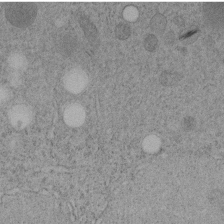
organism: C. elegans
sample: C. elegans embryo early stage